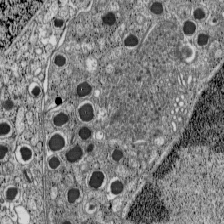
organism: C57BL Mouse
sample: Pancreatic islet